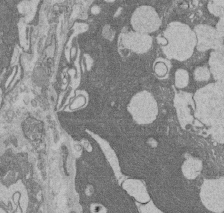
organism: Rat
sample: Salivary granule